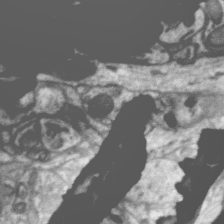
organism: Zebra finch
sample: Brain